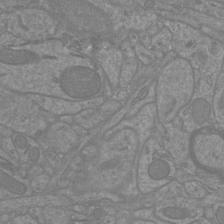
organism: Mouse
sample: Cortical neurons